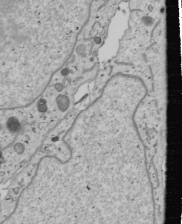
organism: Human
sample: Mitochondria in U2OS cells